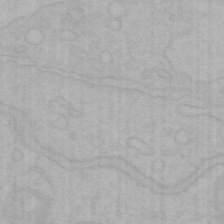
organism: Mouse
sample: Choroid plexus